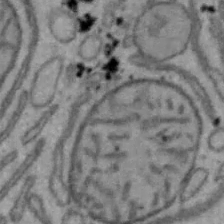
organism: Mouse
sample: Liver